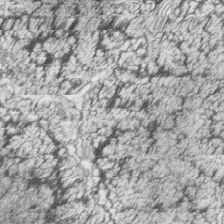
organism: Zebrafish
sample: synaptic ribbons in rod cells and cone cells